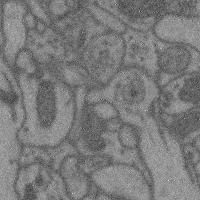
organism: Mouse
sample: Cerebral cortex